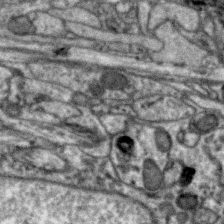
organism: Zebra finch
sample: Brain